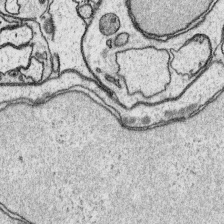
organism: Platynereis dumerilii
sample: Parapodia